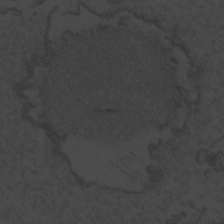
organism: Zebrafish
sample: Macrophage infected with Toxoplasma gondii